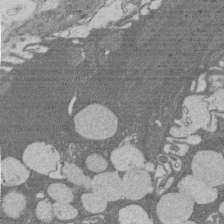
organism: Rat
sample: Salivary granule